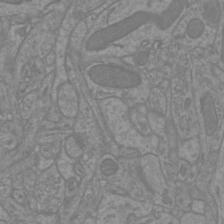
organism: Mouse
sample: Cortical neurons